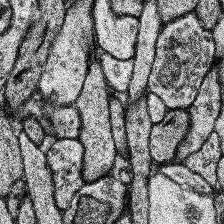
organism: Human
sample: Temporal Lobe